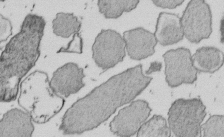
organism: E. coli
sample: Bacterial nucleoid